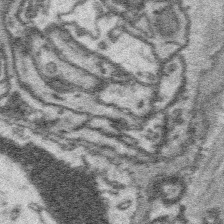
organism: Platynereis dumerilii